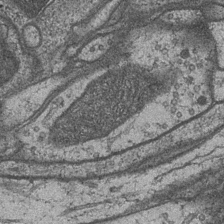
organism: Drosophila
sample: Optic medulla